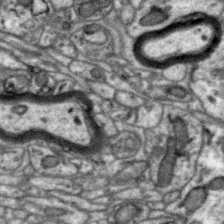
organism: Zebra finch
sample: Brain